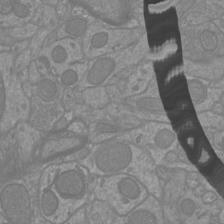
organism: Mouse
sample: Cortical neurons